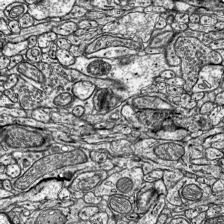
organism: Mouse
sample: Visual Cortex